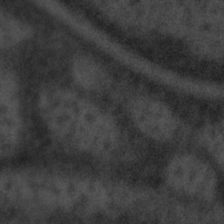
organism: Tuwongella immobilis